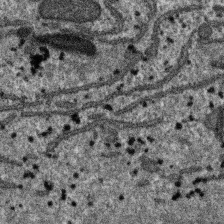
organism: Human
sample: Lung epithelial cells infected with SARS-CoV-2